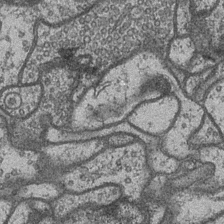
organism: Drosophila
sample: Optic medulla